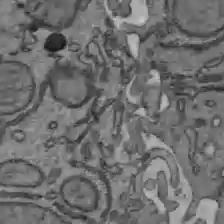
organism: C57BL Mouse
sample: Liver